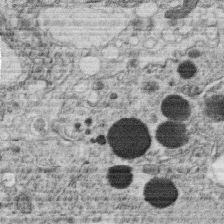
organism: C. elegans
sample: C. elegans oocyte; sperm cells